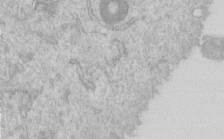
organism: Human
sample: Centriole in RPE cells